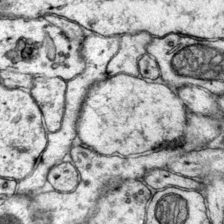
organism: Mouse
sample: Primary visual cortex